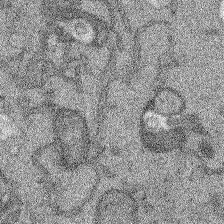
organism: Human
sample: HeLa cells